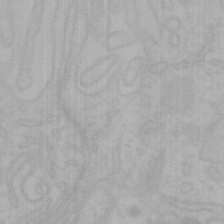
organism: Mouse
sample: Choroid plexus